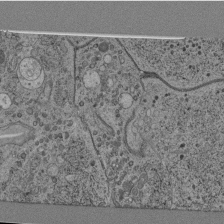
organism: C. elegans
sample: C. elegans pharynx